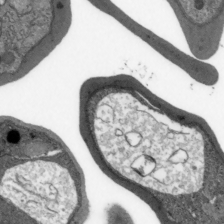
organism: Plasmodium falciparum